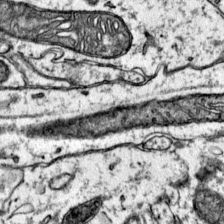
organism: Mouse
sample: Primary visual cortex